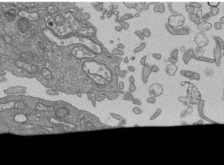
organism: Human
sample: Retinal organoid Rod and Cone cells